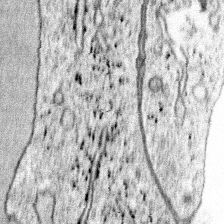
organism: Human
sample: HeLa cells